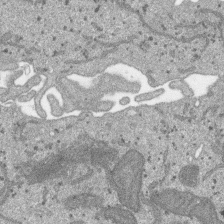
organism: Human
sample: Lung epithelial cells infected with SARS-CoV-2